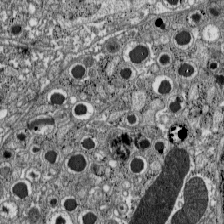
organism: C57BL Mouse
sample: Pancreatic islet